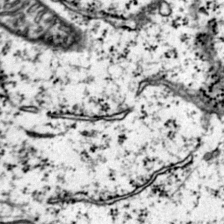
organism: Mouse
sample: Primary visual cortex